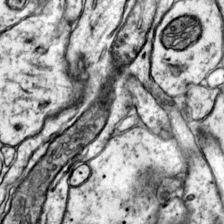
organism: Mouse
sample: Primary visual cortex